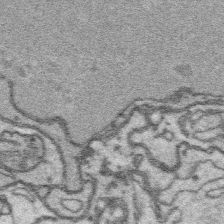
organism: Platynereis dumerilii